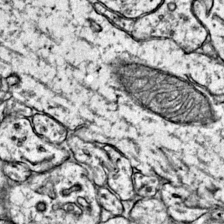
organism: Mouse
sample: Primary visual cortex